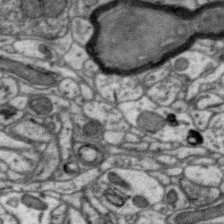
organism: Zebra finch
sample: Brain